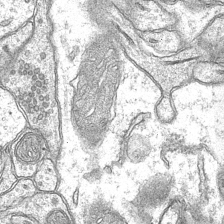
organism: Mouse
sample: CA1 Hippocampus